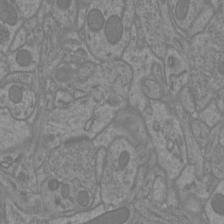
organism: Mouse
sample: Cortical neurons